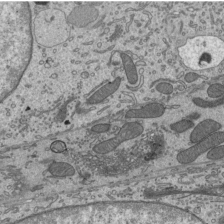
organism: Mouse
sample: Mouse epididymis efferent ductule cilia